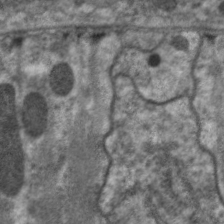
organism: C. elegans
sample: Pharynx